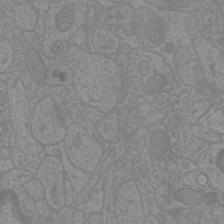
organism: Mouse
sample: Cortical neurons